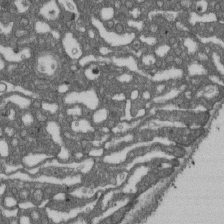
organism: Drosophila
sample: Nephrocyte